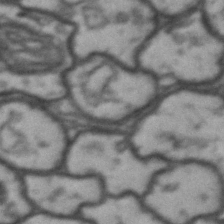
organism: Drosophila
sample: Brain